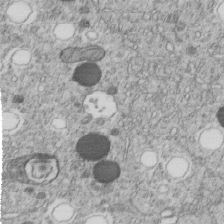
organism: C. elegans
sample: C. elegans embryo early stage